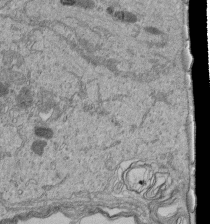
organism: Human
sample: Retinal organoid Rod and Cone cells